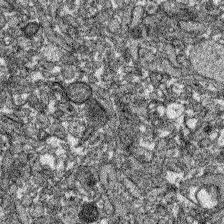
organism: Zebrafish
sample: Larval olfactory bulb